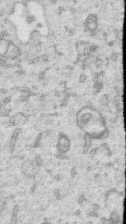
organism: Human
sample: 1205lu cells